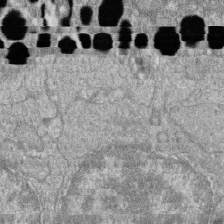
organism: Zebrafish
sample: Cilia; retinal pigment epithelium